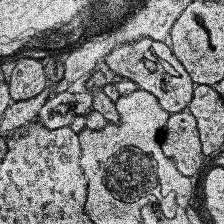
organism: Human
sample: Temporal Lobe